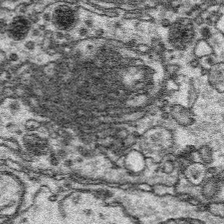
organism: Platynereis dumerilii